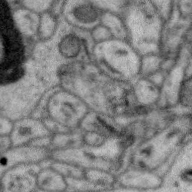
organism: Zebra finch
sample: Brain